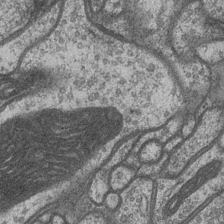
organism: Drosophila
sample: Optic medulla